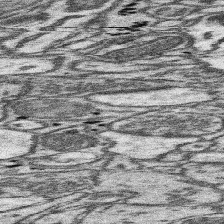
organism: Mouse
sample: Somatosensory cortex neuropil